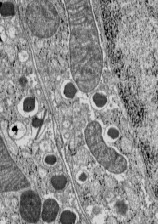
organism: C57BL Mouse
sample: Pancreatic islet